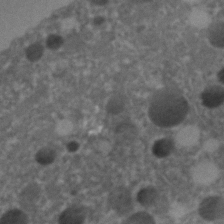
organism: C. elegans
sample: C. elegans embryo